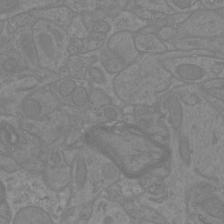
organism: Mouse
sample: Cortical neurons